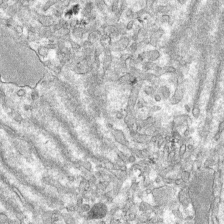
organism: Mouse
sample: Mouse hepatocytes